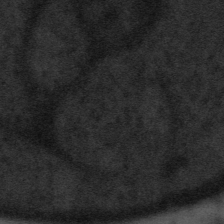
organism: Tuwongella immobilis